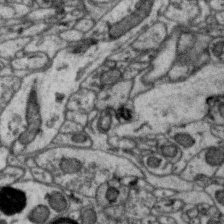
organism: Zebra finch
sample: Brain